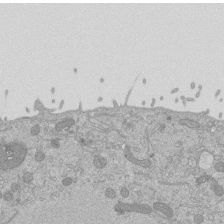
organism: Mouse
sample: ED-1 cell nuclei; centrioles